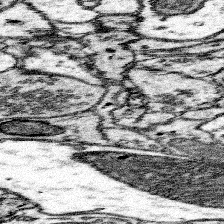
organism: Mouse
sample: Somatosensory cortex neuropil